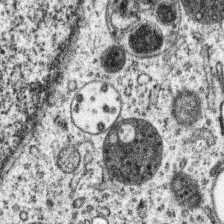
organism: Human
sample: HeLa cells